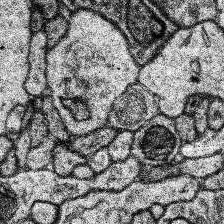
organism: Human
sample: Temporal Lobe